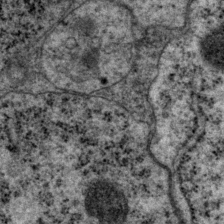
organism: P. pacificus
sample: Pharynx